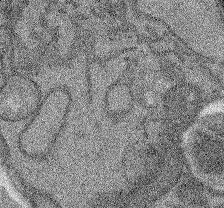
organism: Human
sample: HeLa cells